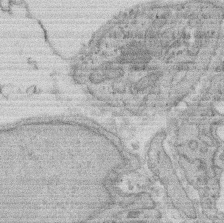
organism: Rat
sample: Salivary granule